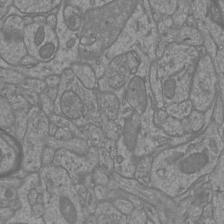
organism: Mouse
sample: Cortical neurons